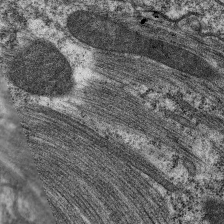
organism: C. elegans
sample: Pharynx